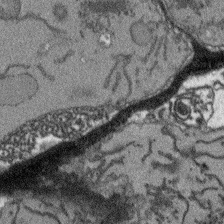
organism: Arabidopsis thaliana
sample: Root tip